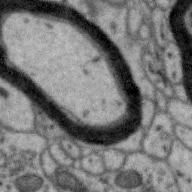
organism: Zebra finch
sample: Brain